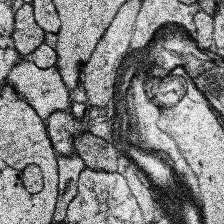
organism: Human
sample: Temporal Lobe